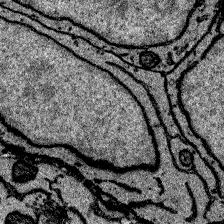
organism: Zebrafish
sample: Larval olfactory bulb